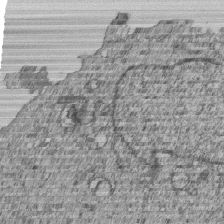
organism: Human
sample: MDA-MB-231 cells